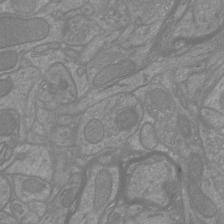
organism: Mouse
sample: Cortical neurons